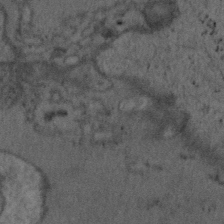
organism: Human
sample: HeLa cells